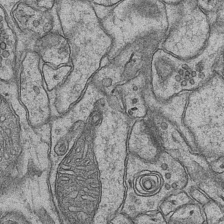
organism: Mouse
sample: CA1 Hippocampus